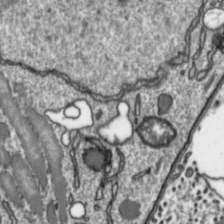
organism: Toxoplasma gondii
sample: Parasites in a vacuole inside a host cell